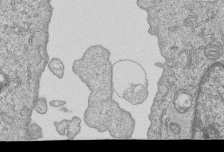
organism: Human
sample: MDA-MB-231 cells